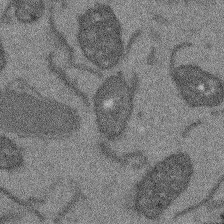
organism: Arabidopsis thaliana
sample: Root tip